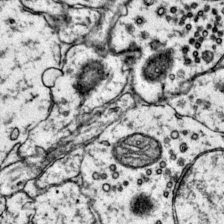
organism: Mouse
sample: Primary visual cortex